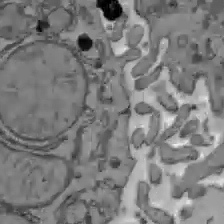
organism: C57BL Mouse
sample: Liver